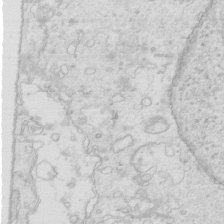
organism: Mouse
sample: Multiciliated cells